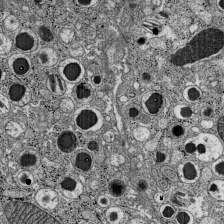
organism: C57BL Mouse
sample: Pancreatic islet